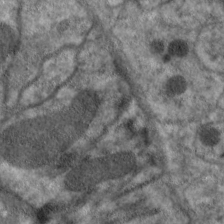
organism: C. elegans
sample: Pharynx